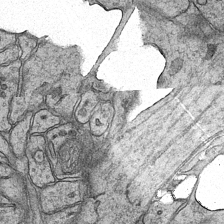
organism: Mouse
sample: CA1 Hippocampus